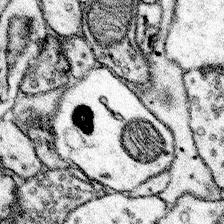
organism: Mouse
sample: Somatosensory cortex neuropil